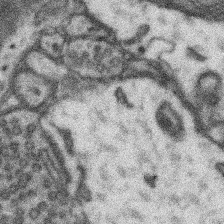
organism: Mouse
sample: Somatosensory cortex neuropil